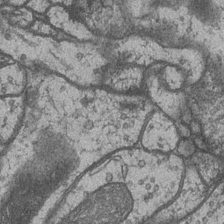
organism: Drosophila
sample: Optic medulla